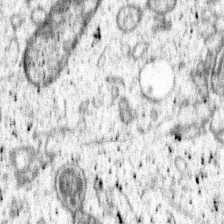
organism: Human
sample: HeLa cells